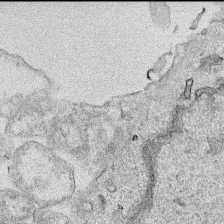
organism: Human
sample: Mitochondria in HCT116 cells